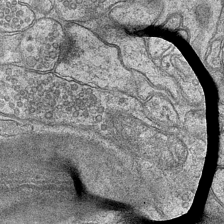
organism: Mouse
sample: CA1 Hippocampus